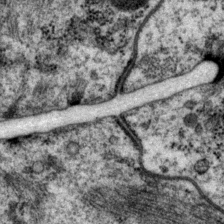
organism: P. pacificus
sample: Pharynx